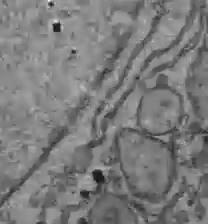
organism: C57BL Mouse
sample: Liver